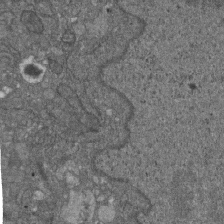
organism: Drosophila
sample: Nephrocyte